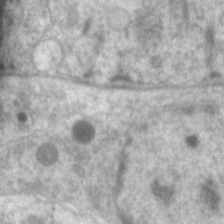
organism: C. elegans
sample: Pharynx